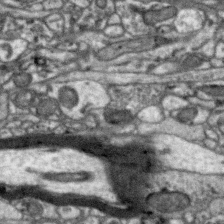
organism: Zebra finch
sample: Brain